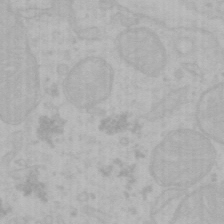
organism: Mouse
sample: Choroid plexus